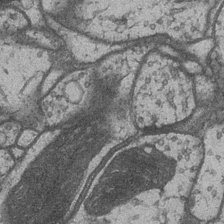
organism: Drosophila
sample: Optic medulla